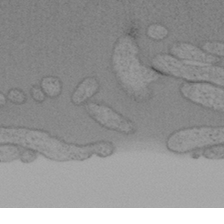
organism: Mouse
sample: OT-I killer T cells with ID8 ovarian cancer cells